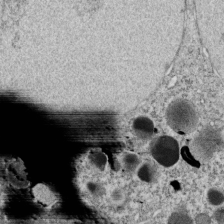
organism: C. elegans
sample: C. elegans embryo early stage